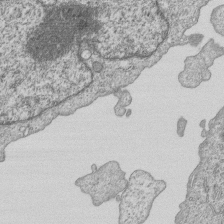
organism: Human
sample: MDA-MB-231 cells